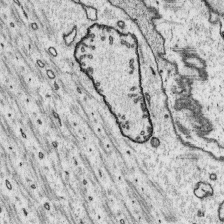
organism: Platynereis dumerilii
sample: Parapodia